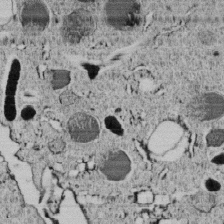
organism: C. elegans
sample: C. elegans embryo early stage